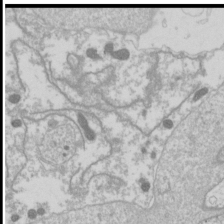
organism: Drosophila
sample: Cell division; meiosis; drosophila spermatocytes